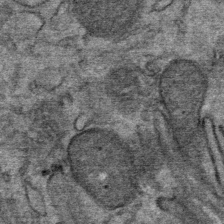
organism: Mouse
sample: Mouse Salivary gland